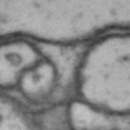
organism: Drosophila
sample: Brain